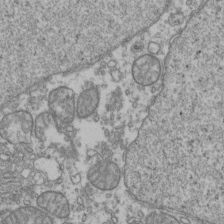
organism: Human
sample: Activated Jurkat CD4+ T cells